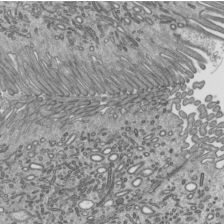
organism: Mouse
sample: Mouse epididymis efferent ductule cilia